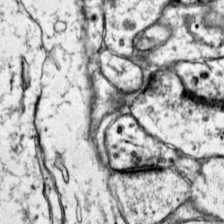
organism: Mouse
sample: Primary visual cortex